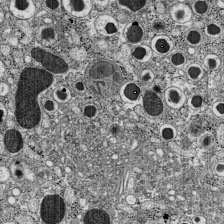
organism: C57BL Mouse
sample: Pancreatic islet